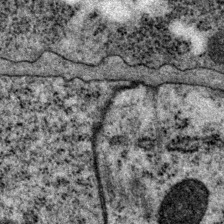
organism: P. pacificus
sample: Pharynx